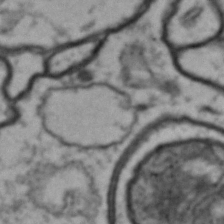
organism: Drosophila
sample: Brain